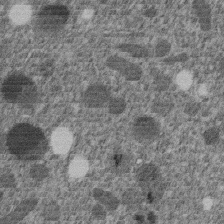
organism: C. elegans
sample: C. elegans embryo early stage